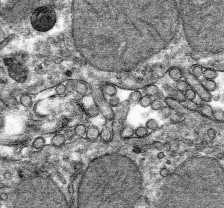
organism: Mouse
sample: Mouse hepatocytes